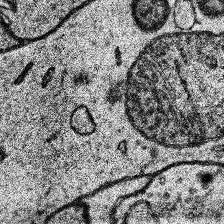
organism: Human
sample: Temporal Lobe